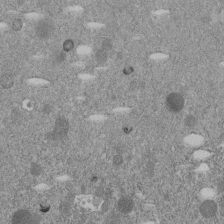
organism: C. elegans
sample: C. elegans embryo early stage